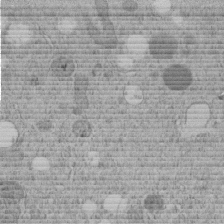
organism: C. elegans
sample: C. elegans embryo early stage